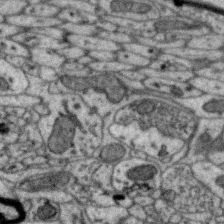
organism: Zebra finch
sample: Brain